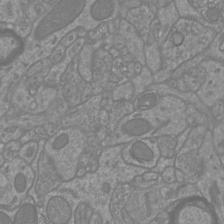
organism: Mouse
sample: Cortical neurons